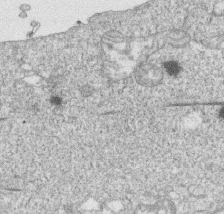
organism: Human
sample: HeLa cell HIV synapse